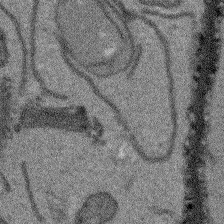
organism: Arabidopsis thaliana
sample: Root tip